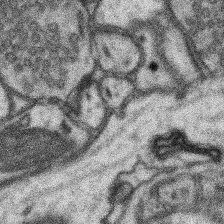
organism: Mouse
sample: Somatosensory cortex neuropil